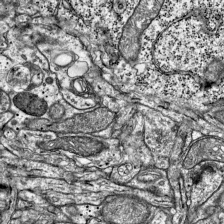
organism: Mouse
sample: Visual Cortex